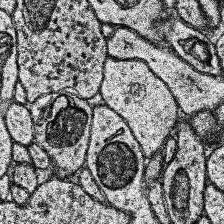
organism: Human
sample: Temporal Lobe